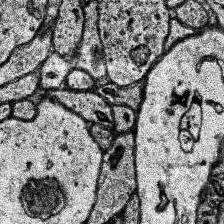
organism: Human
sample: Temporal Lobe